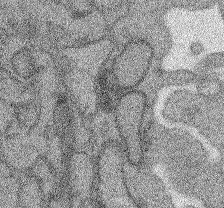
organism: Human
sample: HeLa cells